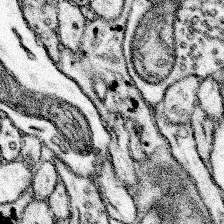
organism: Mouse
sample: Somatosensory cortex neuropil